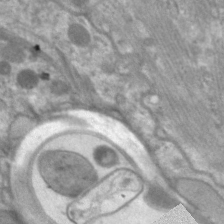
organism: C. elegans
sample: Pharynx